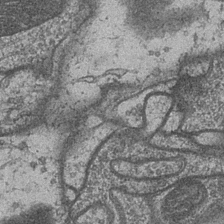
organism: Drosophila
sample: Optic medulla